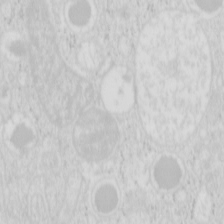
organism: Mouse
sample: Pancreas